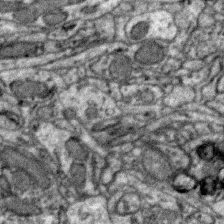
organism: Zebra finch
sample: Brain